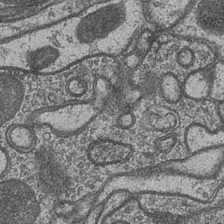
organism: Drosophila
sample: Optic medulla